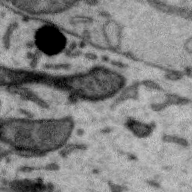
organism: Zebra finch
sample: Brain